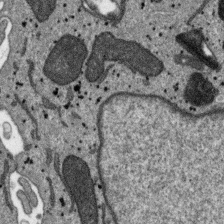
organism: Human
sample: Lung epithelial cells, uninfected (mock) control